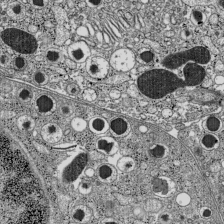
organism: C57BL Mouse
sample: Pancreatic islet